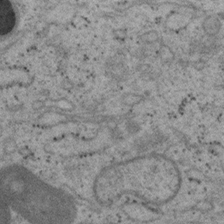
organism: Human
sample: HeLa cells